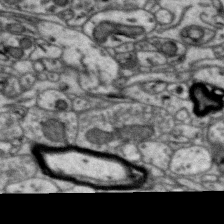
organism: Zebra finch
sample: Brain